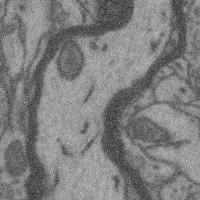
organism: Mouse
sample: Cerebral cortex